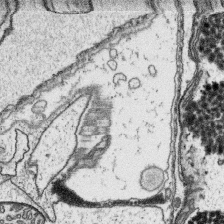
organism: Platynereis dumerilii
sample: Parapodia